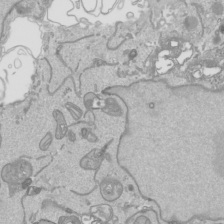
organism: Human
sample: Mitochondria in HCT116 cells